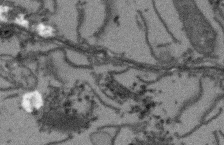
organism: Arabidopsis thaliana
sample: Root tip